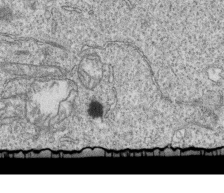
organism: Human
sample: HeLa cell HIV synapse